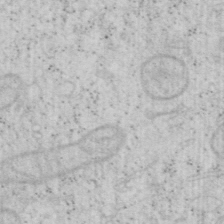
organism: Human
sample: HeLa cells